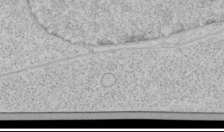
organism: Human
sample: Mitochondria in HCT116 cells